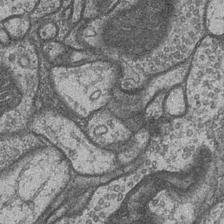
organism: Drosophila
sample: Optic medulla